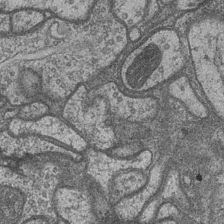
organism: Drosophila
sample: Optic medulla